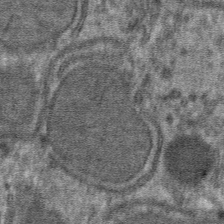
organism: Mouse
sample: Mouse hepatocytes